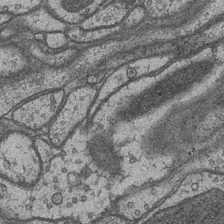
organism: Drosophila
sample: Optic medulla